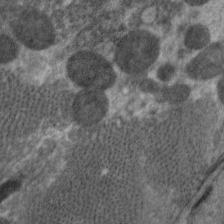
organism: C. elegans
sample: Pharynx